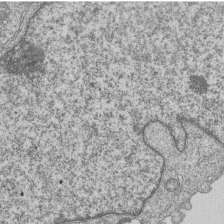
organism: Human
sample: MDA-MB-231 cells